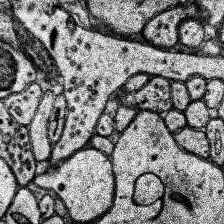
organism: Human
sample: Temporal Lobe